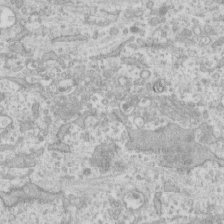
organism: Human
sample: CRL-1474